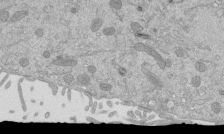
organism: Mouse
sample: ED-1 cell nuclei; centrioles